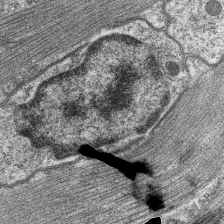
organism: C. elegans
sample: Pharynx